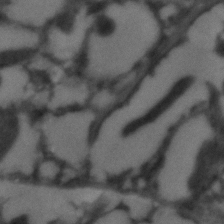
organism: C. elegans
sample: C. elegans embryo